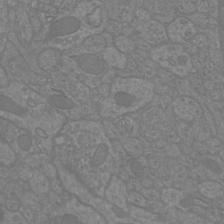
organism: Mouse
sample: Cortical neurons